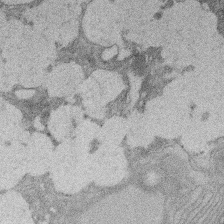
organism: Rat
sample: Salivary granule